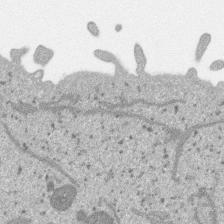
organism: Human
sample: Lung epithelial cells infected with SARS-CoV-2